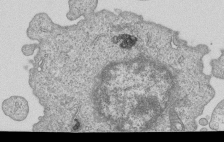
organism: Human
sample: MDA-MB-231 cells